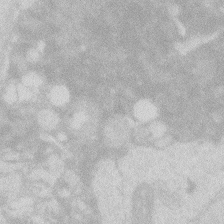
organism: Zebrafish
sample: Macrophage